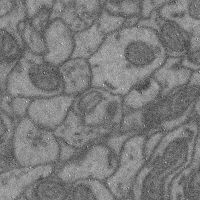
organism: Mouse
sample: Cerebral cortex